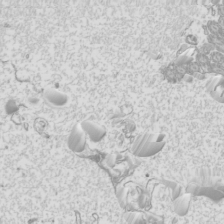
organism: Mouse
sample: Cilia; mouse epididymis